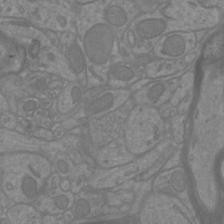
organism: Mouse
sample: Cortical neurons